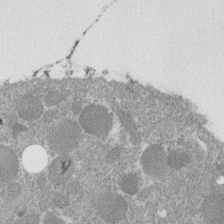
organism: C. elegans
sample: C. elegans embryo early stage